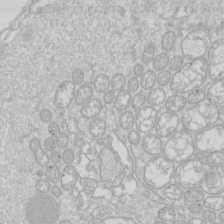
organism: Drosophila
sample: Cell division; meiosis; drosophila spermatocytes